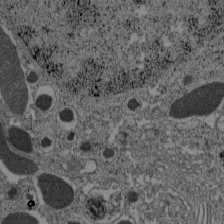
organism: C57BL Mouse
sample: Pancreatic islet